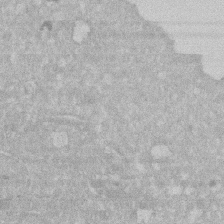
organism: Human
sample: HIV infected U937 cells